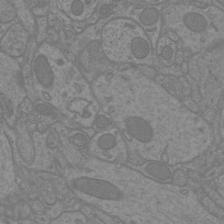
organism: Mouse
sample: Cortical neurons